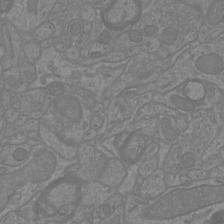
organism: Mouse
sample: Cortical neurons